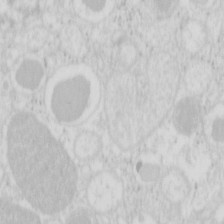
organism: Mouse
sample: Pancreas